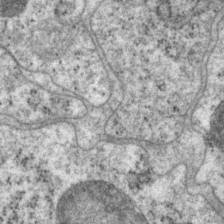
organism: P. pacificus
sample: Pharynx